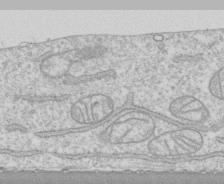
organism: Human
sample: CRL-1474